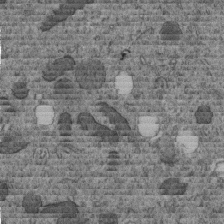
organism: C. elegans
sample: C. elegans embryo early stage